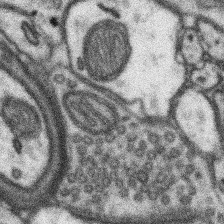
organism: Mouse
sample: Somatosensory cortex neuropil